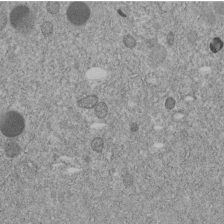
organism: C. elegans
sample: C. elegans embryo early stage